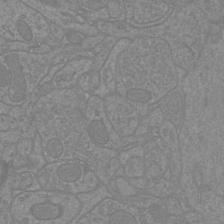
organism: Mouse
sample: Cortical neurons